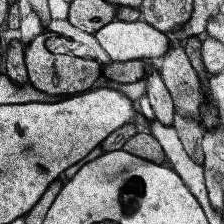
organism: Human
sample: Temporal Lobe